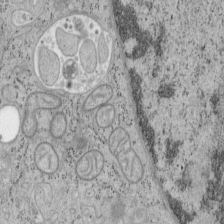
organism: Mouse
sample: OT-I killer T cells with ID8 ovarian cancer cells